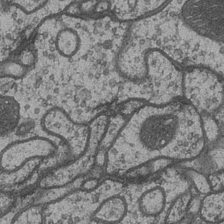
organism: Drosophila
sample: Optic medulla